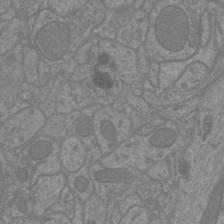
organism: Mouse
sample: Cortical neurons